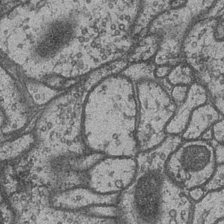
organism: Drosophila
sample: Optic medulla